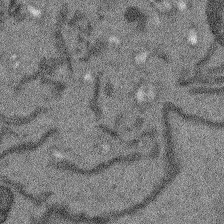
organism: Arabidopsis thaliana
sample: Root tip